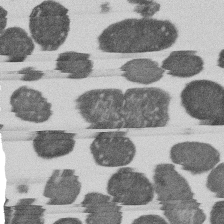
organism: E. coli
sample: Bacterial nucleoid